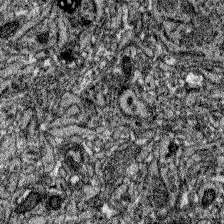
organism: Zebrafish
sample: Larval olfactory bulb